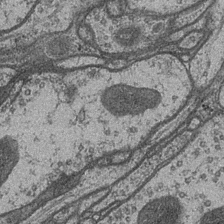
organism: Drosophila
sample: Optic medulla